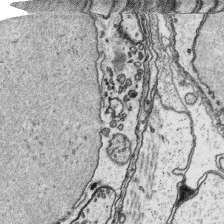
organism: Platynereis dumerilii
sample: Parapodia